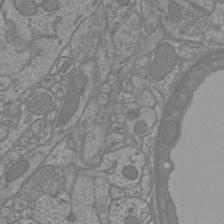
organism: Mouse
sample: Cortical neurons